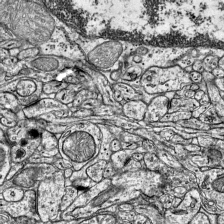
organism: Mouse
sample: Visual Cortex